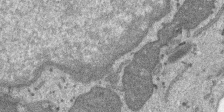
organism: Human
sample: Lung epithelial cells infected with SARS-CoV-2